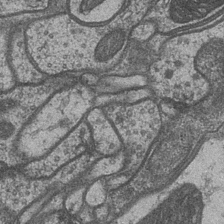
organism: Drosophila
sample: Optic medulla